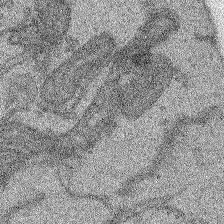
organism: Human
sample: HeLa cells